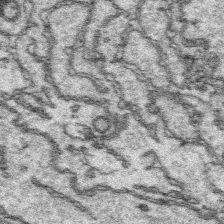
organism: Platynereis dumerilii